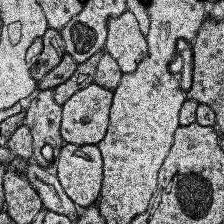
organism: Human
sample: Temporal Lobe